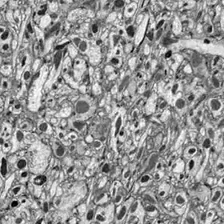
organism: Drosophila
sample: Optic lobe